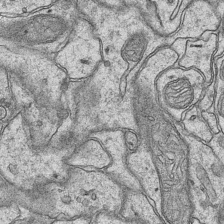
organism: Mouse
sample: CA1 Hippocampus